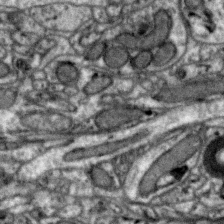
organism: Zebra finch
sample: Brain